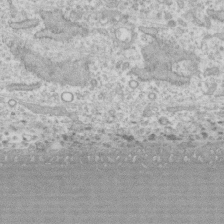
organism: Human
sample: CRL-1474